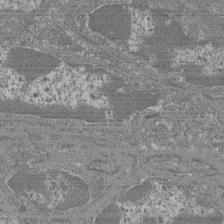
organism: Mouse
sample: Glomerulus